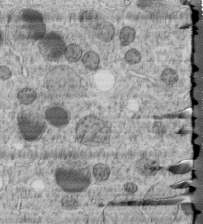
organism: C. elegans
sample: C. elegans embryo early stage